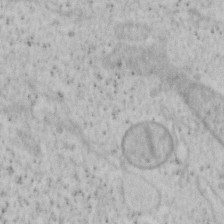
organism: Human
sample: HeLa cells